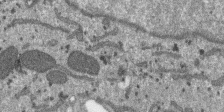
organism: Human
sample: Lung epithelial cells infected with SARS-CoV-2